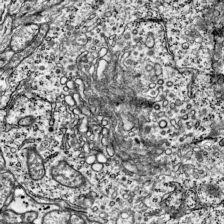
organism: Mouse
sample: Visual Cortex